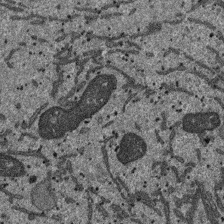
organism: Human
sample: Lung epithelial cells infected with SARS-CoV-2